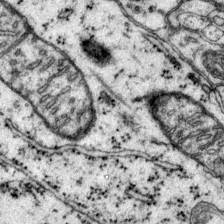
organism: Mouse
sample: Primary visual cortex